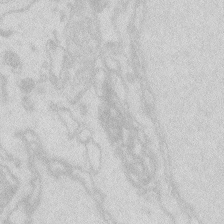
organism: Zebrafish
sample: Macrophage